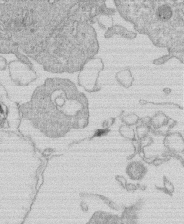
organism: Human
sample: Macrophage cells